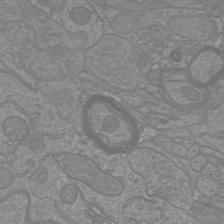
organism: Mouse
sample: Cortical neurons